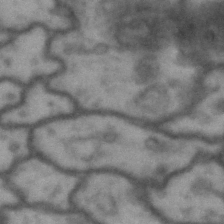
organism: Drosophila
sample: Brain